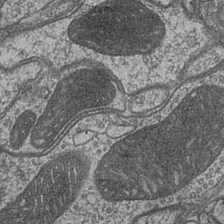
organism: Drosophila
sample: Optic medulla